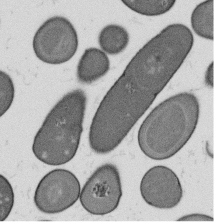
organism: B. subtilis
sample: Bacterial spore